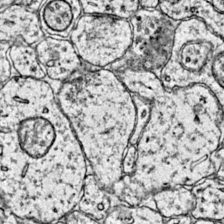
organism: Mouse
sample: Primary visual cortex